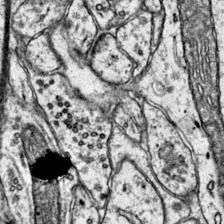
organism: Mouse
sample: Primary visual cortex